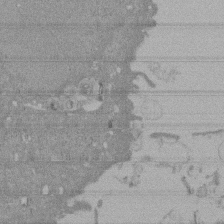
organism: Mouse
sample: ED-1 cell nuclei; centrioles